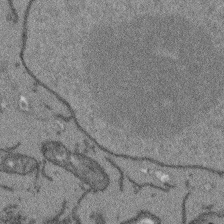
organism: Arabidopsis thaliana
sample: Root tip